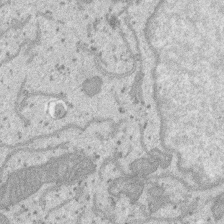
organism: Human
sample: Lung epithelial cells infected with SARS-CoV-2